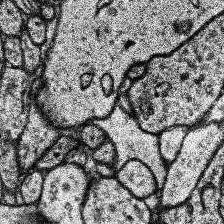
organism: Human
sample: Temporal Lobe